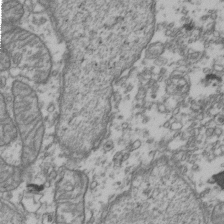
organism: Human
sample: Activated Jurkat CD4+ T cells